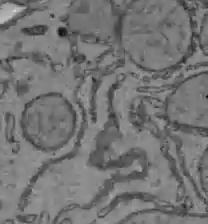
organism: C57BL Mouse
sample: Liver